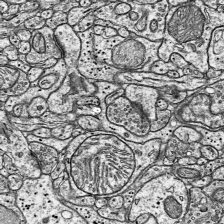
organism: Mouse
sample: Visual Cortex